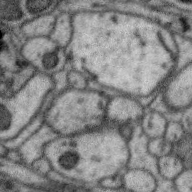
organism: Zebra finch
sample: Brain